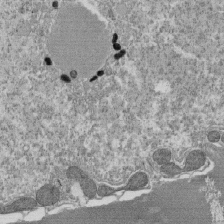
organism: Tetrahymena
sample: Cilia in tetrahymena